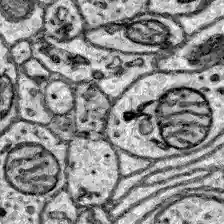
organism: Zebrafish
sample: Brain